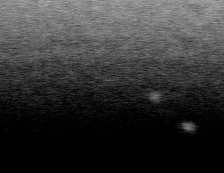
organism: Human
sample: HeLa cells